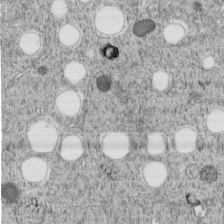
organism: C. elegans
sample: C. elegans embryo early stage